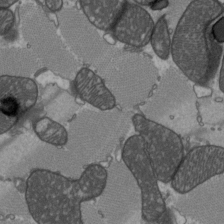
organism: C57BL Mouse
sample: Heart